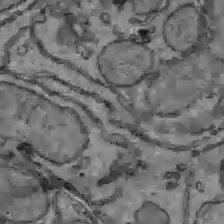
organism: C57BL Mouse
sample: Liver